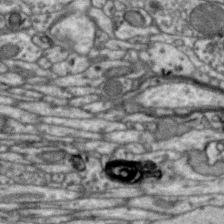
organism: Zebra finch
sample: Brain